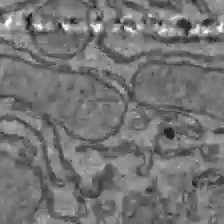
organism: C57BL Mouse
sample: Liver